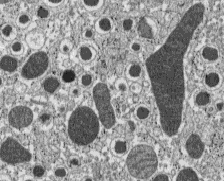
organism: C57BL Mouse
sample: Pancreatic islet